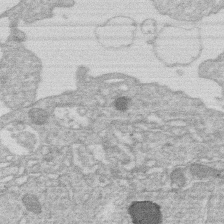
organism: Human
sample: Macrophage cells